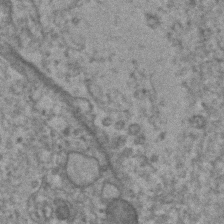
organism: Human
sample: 1205lu cells